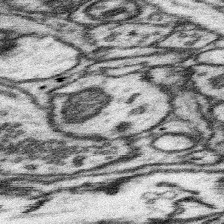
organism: Mouse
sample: Somatosensory cortex neuropil